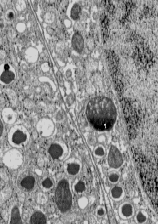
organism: C57BL Mouse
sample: Pancreatic islet